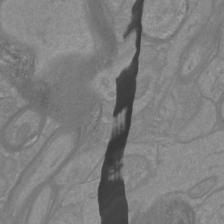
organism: Mouse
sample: Cortical neurons